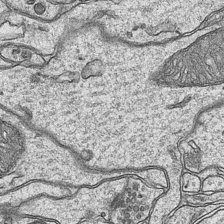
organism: Mouse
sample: CA1 Hippocampus